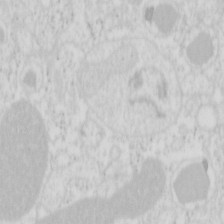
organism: Mouse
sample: Pancreas